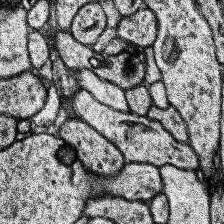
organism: Human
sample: Temporal Lobe